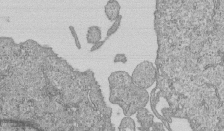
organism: Human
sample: MDA-MB-231 cells